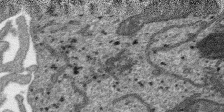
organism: Human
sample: Lung epithelial cells infected with SARS-CoV-2